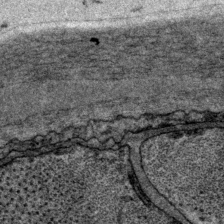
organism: P. pacificus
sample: Pharynx